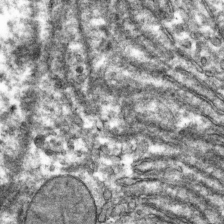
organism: Mouse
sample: Mouse hepatocytes